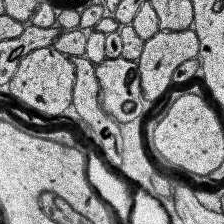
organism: Human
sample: Temporal Lobe